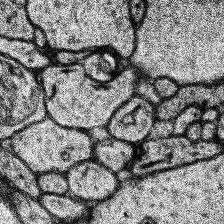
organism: Human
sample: Temporal Lobe